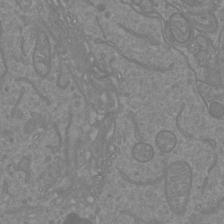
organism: Mouse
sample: Cortical neurons